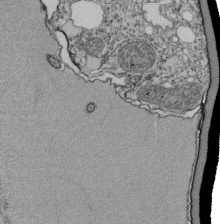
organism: Tetrahymena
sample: Cilia in tetrahymena